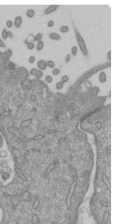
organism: Mouse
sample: ED-1 cell nuclei; centrioles